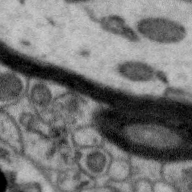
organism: Zebra finch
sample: Brain